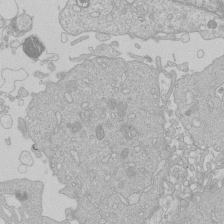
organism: Human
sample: Macrophage cells